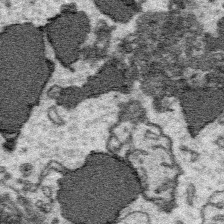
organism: Platynereis dumerilii